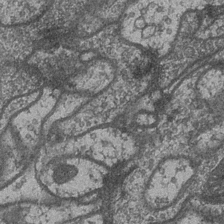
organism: Drosophila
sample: Optic medulla